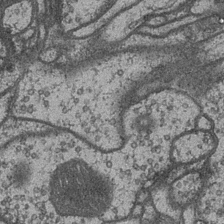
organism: Drosophila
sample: Optic medulla